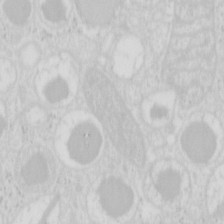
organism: Mouse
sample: Pancreas